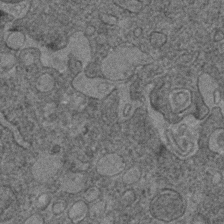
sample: Trachea